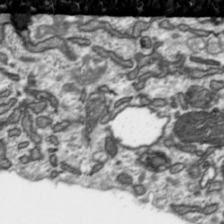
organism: Toxoplasma gondii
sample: Parasites in a vacuole inside a host cell